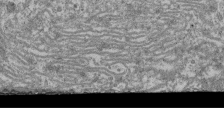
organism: Mouse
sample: Glomerulus